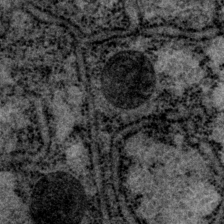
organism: P. pacificus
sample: Pharynx